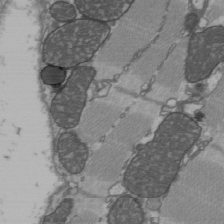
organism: C57BL Mouse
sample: Heart